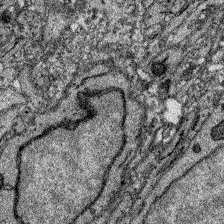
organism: Zebrafish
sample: Larval olfactory bulb